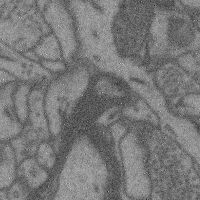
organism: Mouse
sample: Cerebral cortex